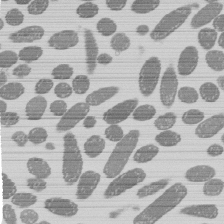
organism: E. coli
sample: Bacterial nucleoid